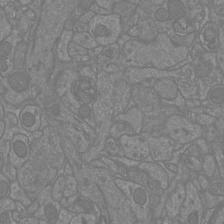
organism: Mouse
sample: Cortical neurons